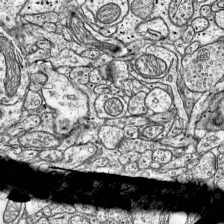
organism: Mouse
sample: Visual Cortex